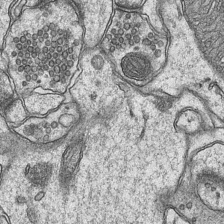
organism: Mouse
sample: CA1 Hippocampus